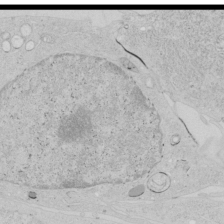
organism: Human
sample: Mitochondria in HCT116 cells